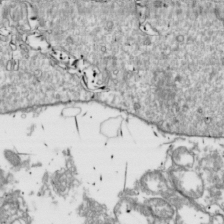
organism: Drosophila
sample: Cell division; meiosis; drosophila spermatocytes